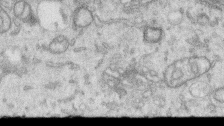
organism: Human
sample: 1205lu cells